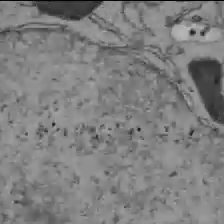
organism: C57BL Mouse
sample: Liver